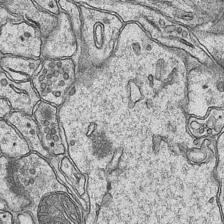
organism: Mouse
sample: CA1 Hippocampus